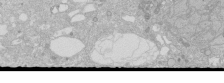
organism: Human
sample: Caco-2 cells